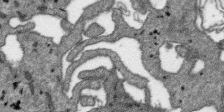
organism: Human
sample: Lung epithelial cells, uninfected (mock) control